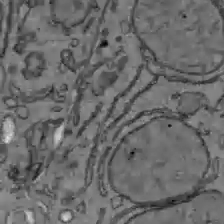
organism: C57BL Mouse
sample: Liver